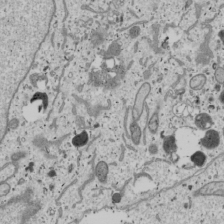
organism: Human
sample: Mitochondria in U2OS cells